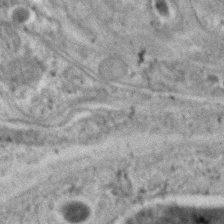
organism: C. elegans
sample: C. elegans embryo